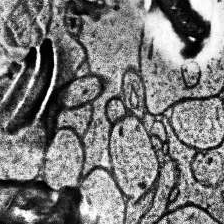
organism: Human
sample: Temporal Lobe